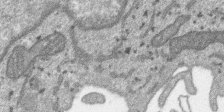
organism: Human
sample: Lung epithelial cells infected with SARS-CoV-2